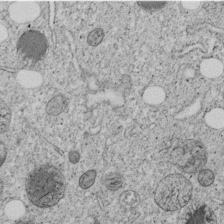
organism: C. elegans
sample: C. elegans embryo early stage